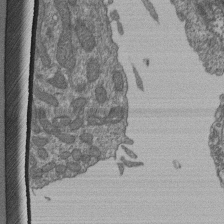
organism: Human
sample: Retinal organoid Rod and Cone cells